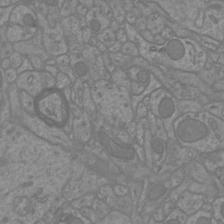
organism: Mouse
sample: Cortical neurons